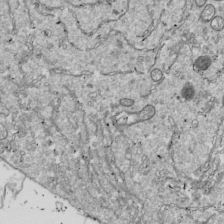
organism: Drosophila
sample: Cell division; meiosis; drosophila spermatocytes